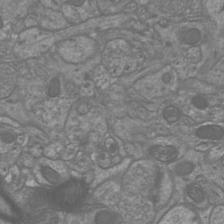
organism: Mouse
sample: Cortical neurons